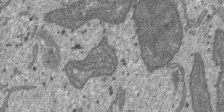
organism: Human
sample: Lung epithelial cells infected with SARS-CoV-2